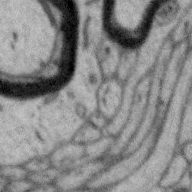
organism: Zebra finch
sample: Brain